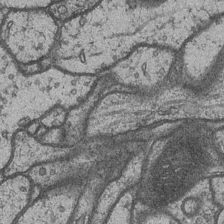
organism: Drosophila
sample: Optic medulla